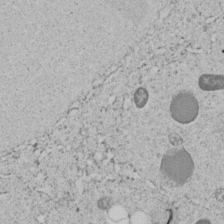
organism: C. elegans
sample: C. elegans embryo early stage